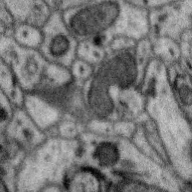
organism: Zebra finch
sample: Brain